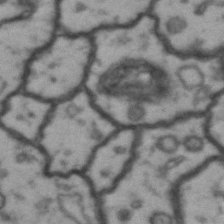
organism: Drosophila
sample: Brain